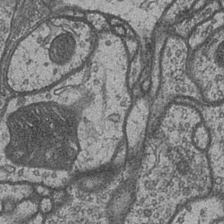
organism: Drosophila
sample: Optic medulla